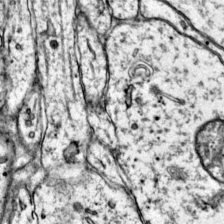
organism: Mouse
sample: Primary visual cortex